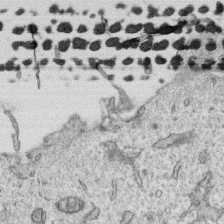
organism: Human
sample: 1205lu cells